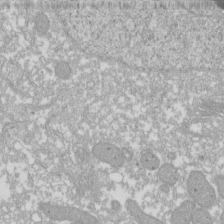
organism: Xenopus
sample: Cilia; centrioles in frog embryo cells